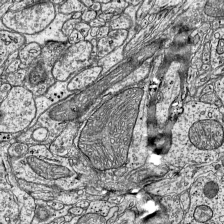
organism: Mouse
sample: Visual Cortex